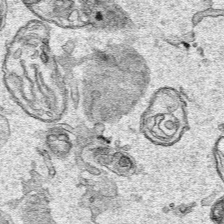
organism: Human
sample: Mitochondria in HCT116 cells